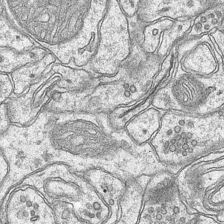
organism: Mouse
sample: CA1 Hippocampus